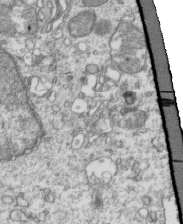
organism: Mouse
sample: Activated OT-1 CD8+ T cells